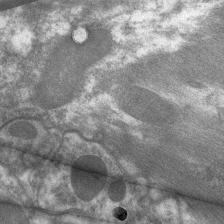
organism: C. elegans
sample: Pharynx